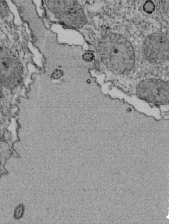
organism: Tetrahymena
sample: Cilia in tetrahymena